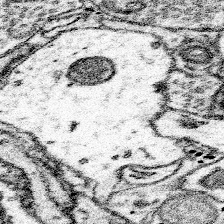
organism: Mouse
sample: Somatosensory cortex neuropil